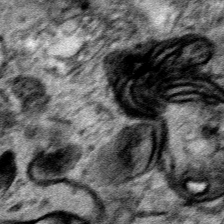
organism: Human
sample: Mitochondria in HCT116 cells